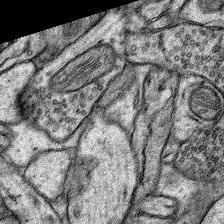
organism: Rat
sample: Hippocampus